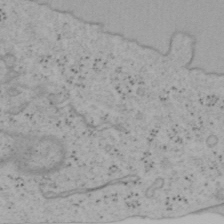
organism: Human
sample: HeLa cells